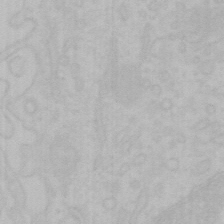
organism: Mouse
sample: Choroid plexus